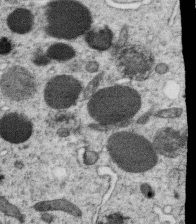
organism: C. elegans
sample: C. elegans oocyte; sperm cells